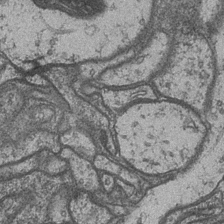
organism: Drosophila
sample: Optic medulla